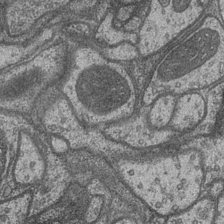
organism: Drosophila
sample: Optic medulla